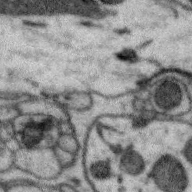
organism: Zebra finch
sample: Brain